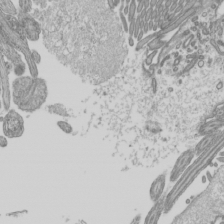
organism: Mouse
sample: Cilia; mouse epididymis